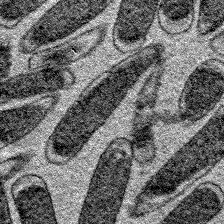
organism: E. coli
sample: E. Coli Bacteria